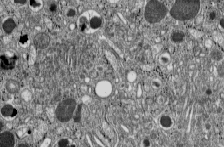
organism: C57BL Mouse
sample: Pancreatic islet